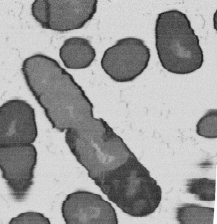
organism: B. subtilis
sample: Bacterial spore